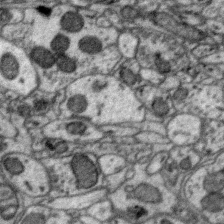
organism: Zebra finch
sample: Brain